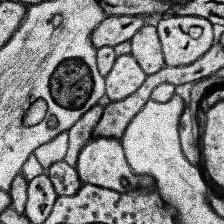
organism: Human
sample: Temporal Lobe